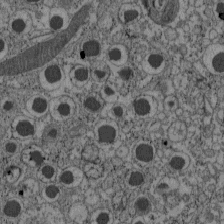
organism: C57BL Mouse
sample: Pancreatic islet